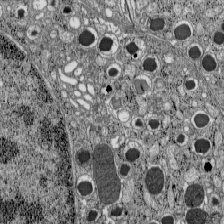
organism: C57BL Mouse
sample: Pancreatic islet